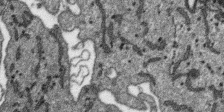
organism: Human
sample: Lung epithelial cells infected with SARS-CoV-2